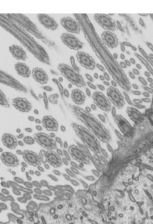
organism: Mouse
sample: Mouse epididymis efferent ductule cilia